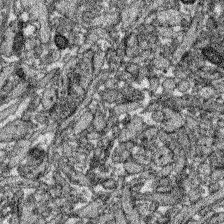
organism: Zebrafish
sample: Larval olfactory bulb